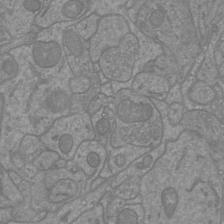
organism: Mouse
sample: Cortical neurons